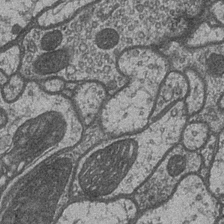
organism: Drosophila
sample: Optic medulla